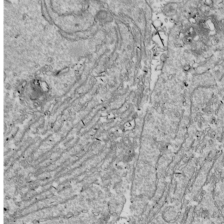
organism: Drosophila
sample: Cell division; meiosis; drosophila spermatocytes